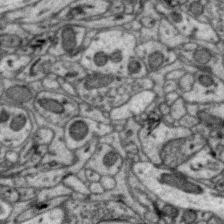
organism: Zebra finch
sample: Brain